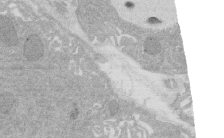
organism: Rat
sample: Salivary granule